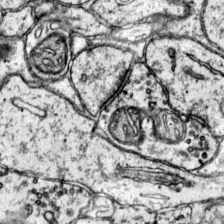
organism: Mouse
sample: Primary visual cortex